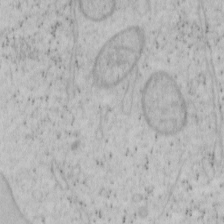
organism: Human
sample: HeLa cells